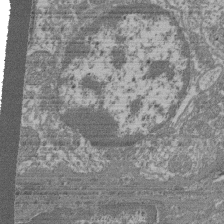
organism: Mouse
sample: Glomerulus